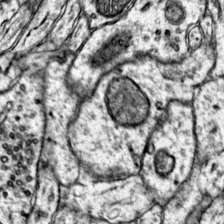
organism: Mouse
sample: Primary visual cortex